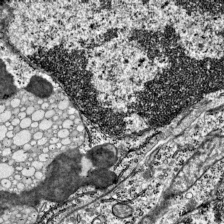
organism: Mouse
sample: Visual Cortex